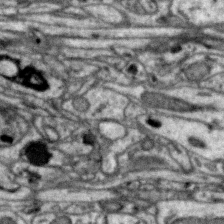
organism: Zebra finch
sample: Brain